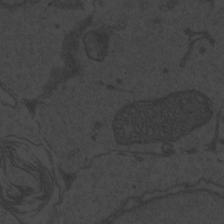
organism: Zebrafish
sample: Macrophage infected with Toxoplasma gondii